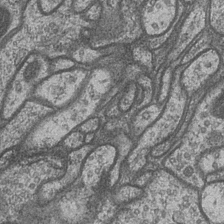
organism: Drosophila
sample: Optic medulla